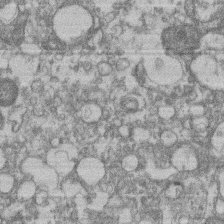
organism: Mouse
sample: T cell stromal cell synapse